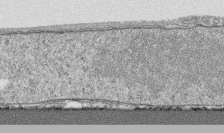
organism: Human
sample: CRL-1474